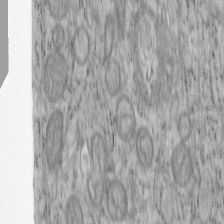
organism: Human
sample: HeLa cells